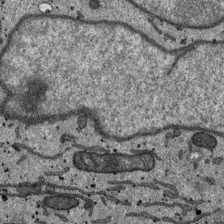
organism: Human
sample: Lung epithelial cells, uninfected (mock) control